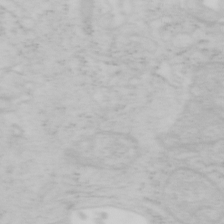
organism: Mouse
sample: OT-I killer T cells with ID8 ovarian cancer cells